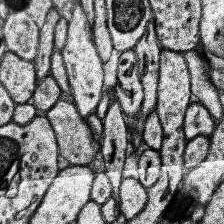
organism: Human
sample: Temporal Lobe